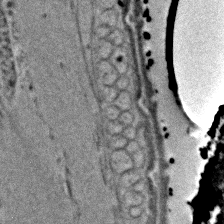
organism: C. elegans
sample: C. elegans embryo